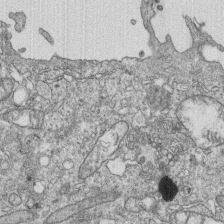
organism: Human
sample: HeLa cell HIV synapse